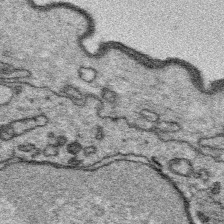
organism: Platynereis dumerilii